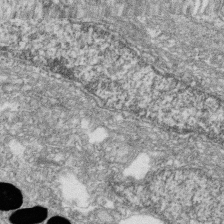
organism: Zebrafish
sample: Cilia; retinal pigment epithelium